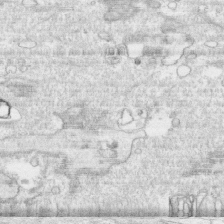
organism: Human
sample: CRL-1474